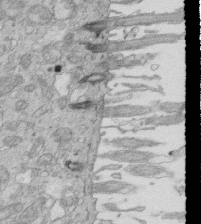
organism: Mouse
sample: Multiciliated cells